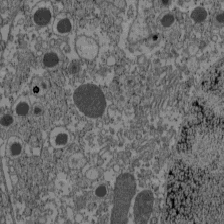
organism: C57BL Mouse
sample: Pancreatic islet